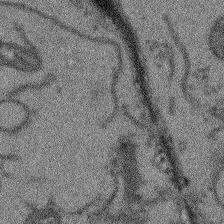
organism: Arabidopsis thaliana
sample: Root tip